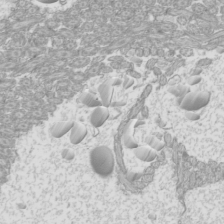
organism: Mouse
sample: Cilia; mouse epididymis